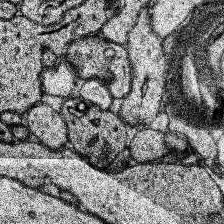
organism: Human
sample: Temporal Lobe